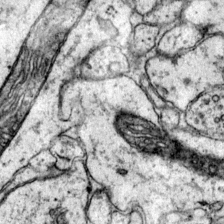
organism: Mouse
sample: Primary visual cortex